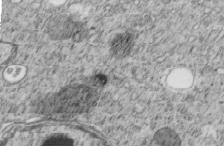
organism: C. elegans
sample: C. elegans embryo early stage